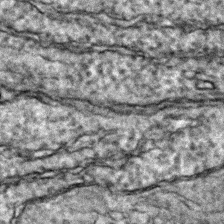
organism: Zebrafish